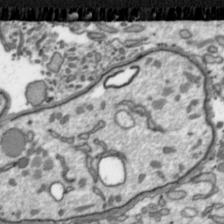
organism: Toxoplasma gondii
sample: Parasites in a vacuole inside a host cell